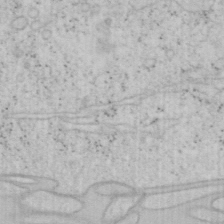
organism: Human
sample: HeLa cells